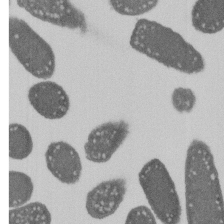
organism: E. coli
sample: Bacterial nucleoid